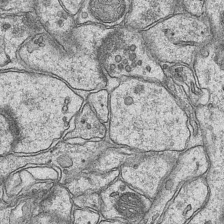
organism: Mouse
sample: CA1 Hippocampus